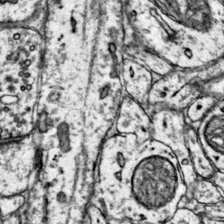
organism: Mouse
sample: Primary visual cortex